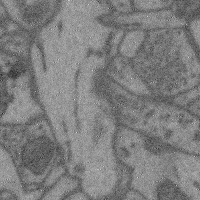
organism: Mouse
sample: Cerebral cortex